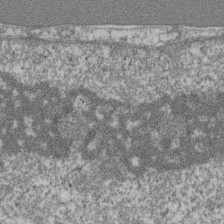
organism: Mouse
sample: T cell stromal cell synapse